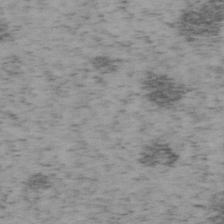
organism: Mouse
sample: OT-I killer T cells with ID8 ovarian cancer cells